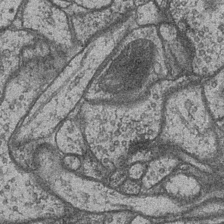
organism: Drosophila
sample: Optic medulla